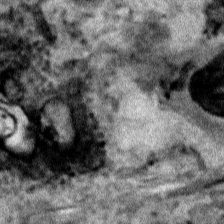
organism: Human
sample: Mitochondria in HCT116 cells